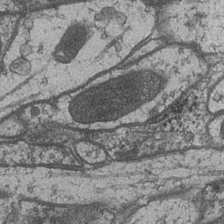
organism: Drosophila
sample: Optic medulla